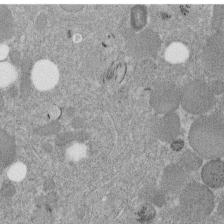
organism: C. elegans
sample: C. elegans embryo early stage